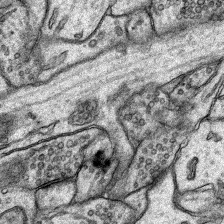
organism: Rat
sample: Hippocampus